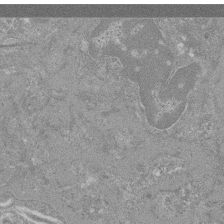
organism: Mouse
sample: Glomerulus